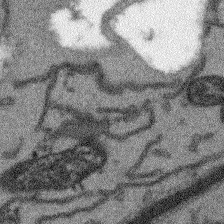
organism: Arabidopsis thaliana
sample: Root tip